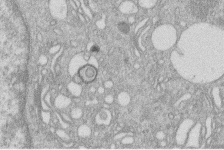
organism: Human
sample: Macrophage cells